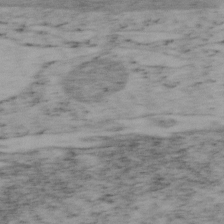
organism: Mouse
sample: OT-I killer T cells with ID8 ovarian cancer cells